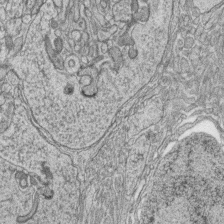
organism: Zebrafish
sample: synaptic ribbons in rod cells and cone cells